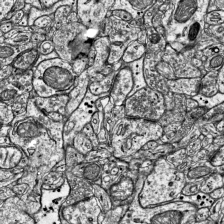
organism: Mouse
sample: Visual Cortex